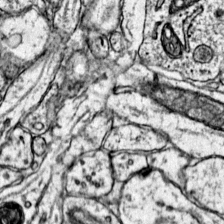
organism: Mouse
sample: Primary visual cortex